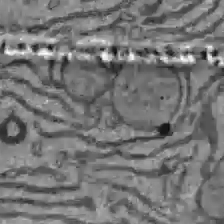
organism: C57BL Mouse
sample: Liver